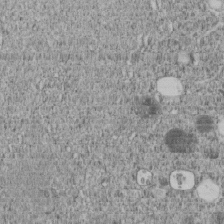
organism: C. elegans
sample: C. elegans embryo early stage